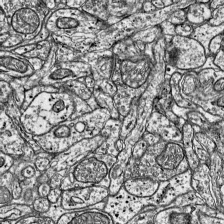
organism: Mouse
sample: Visual Cortex